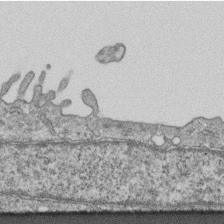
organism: Mouse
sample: Centriole in ependymal cells